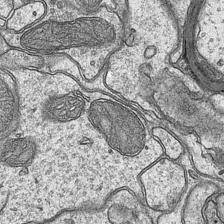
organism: Mouse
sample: CA1 Hippocampus